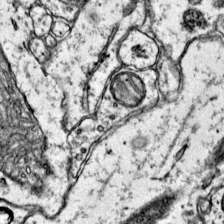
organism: Mouse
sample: Primary visual cortex